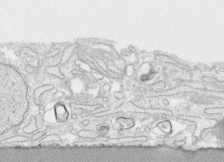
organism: Human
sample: CRL-1474